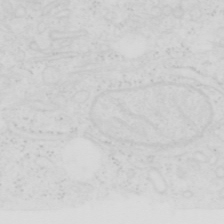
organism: Human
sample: SUM-159 cell